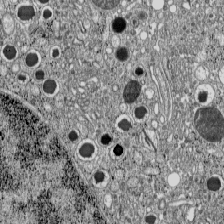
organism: C57BL Mouse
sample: Pancreatic islet